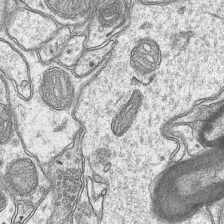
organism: Mouse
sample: CA1 Hippocampus